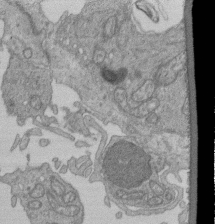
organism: Human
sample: Retinal organoid Rod and Cone cells